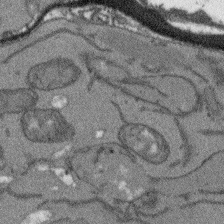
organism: Arabidopsis thaliana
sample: Root tip